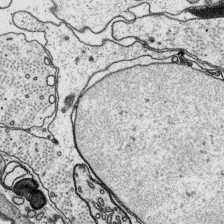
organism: Platynereis dumerilii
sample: Parapodia